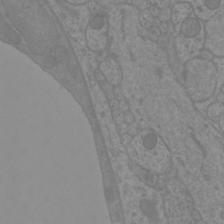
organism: Mouse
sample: Cortical neurons